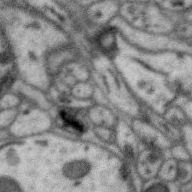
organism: Zebra finch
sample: Brain